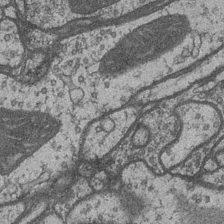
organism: Drosophila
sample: Optic medulla